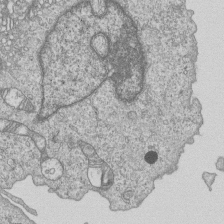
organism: Human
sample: MDA-MB-231 cells